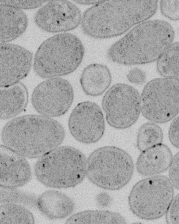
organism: E. coli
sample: Bacterial nucleoid